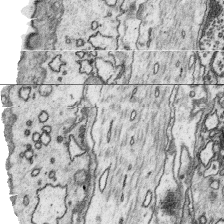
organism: Platynereis dumerilii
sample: Parapodia